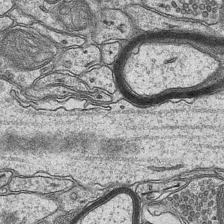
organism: Mouse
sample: CA1 Hippocampus